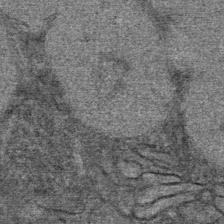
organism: Mouse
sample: Mouse Salivary gland